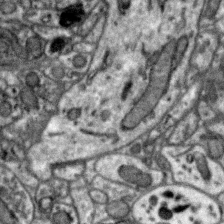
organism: Zebra finch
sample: Brain